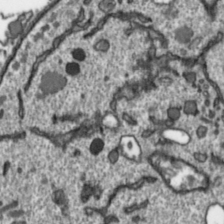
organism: Toxoplasma gondii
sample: Parasites in a vacuole inside a host cell